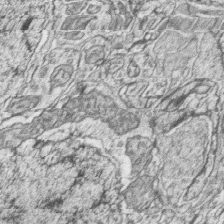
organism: Zebrafish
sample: synaptic ribbons in rod cells and cone cells